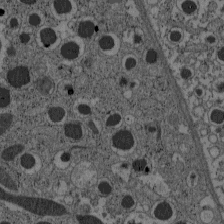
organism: C57BL Mouse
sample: Pancreatic islet